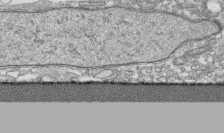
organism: Human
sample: CRL-1474